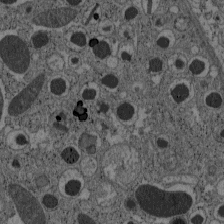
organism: C57BL Mouse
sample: Pancreatic islet